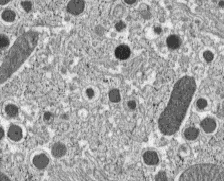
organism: C57BL Mouse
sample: Pancreatic islet